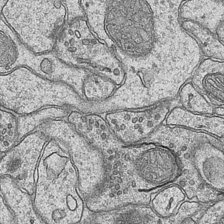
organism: Mouse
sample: CA1 Hippocampus